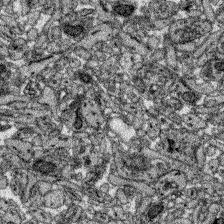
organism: Zebrafish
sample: Larval olfactory bulb